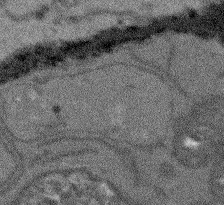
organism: Arabidopsis thaliana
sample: Root tip